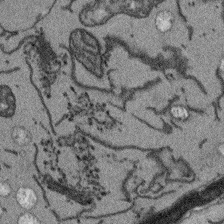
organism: Arabidopsis thaliana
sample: Root tip